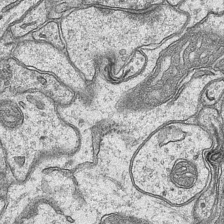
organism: Mouse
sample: CA1 Hippocampus